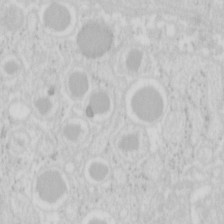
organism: Mouse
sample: Pancreas